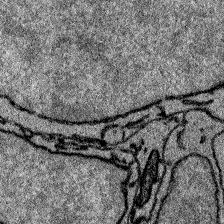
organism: Zebrafish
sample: Larval olfactory bulb